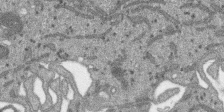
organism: Human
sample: Lung epithelial cells infected with SARS-CoV-2